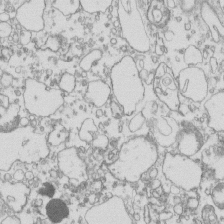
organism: Mouse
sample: Macrophages